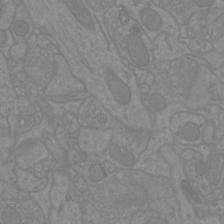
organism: Mouse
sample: Cortical neurons